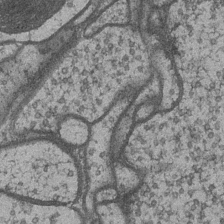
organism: Drosophila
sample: Optic medulla